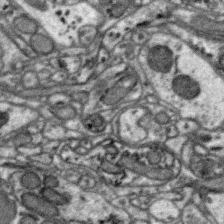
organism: Zebra finch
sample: Brain